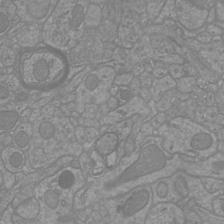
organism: Mouse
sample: Cortical neurons